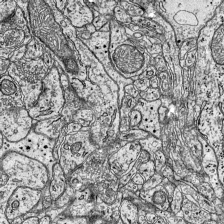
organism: Mouse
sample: Visual Cortex